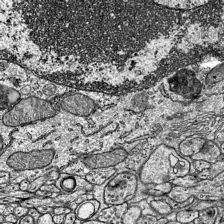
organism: Mouse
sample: Visual Cortex